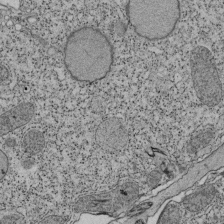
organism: Tetrahymena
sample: Cilia in tetrahymena